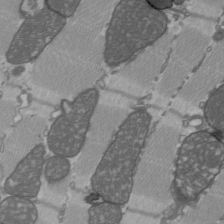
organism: C57BL Mouse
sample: Heart